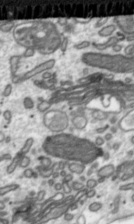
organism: Toxoplasma gondii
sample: Parasites in a vacuole inside a host cell